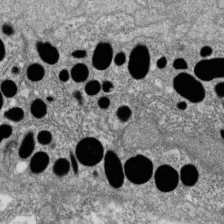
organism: Zebrafish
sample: Cilia; retinal pigment epithelium